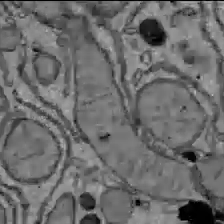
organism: C57BL Mouse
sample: Liver